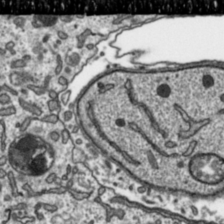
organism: Toxoplasma gondii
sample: Parasites in a vacuole inside a host cell